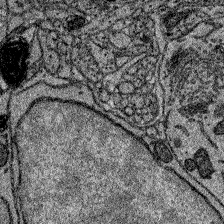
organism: Zebrafish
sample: Larval olfactory bulb